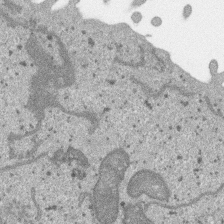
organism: Human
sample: Lung epithelial cells infected with SARS-CoV-2